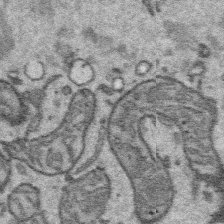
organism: Platynereis dumerilii